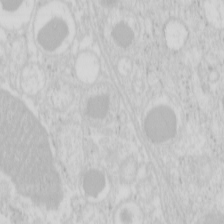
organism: Mouse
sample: Pancreas